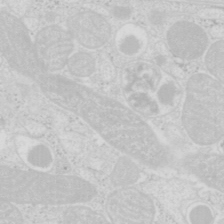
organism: Mouse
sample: Pancreas